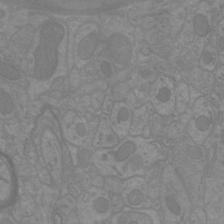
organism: Mouse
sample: Cortical neurons